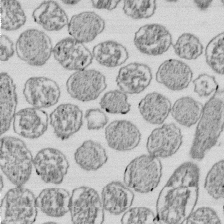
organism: E. coli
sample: Bacterial nucleoid